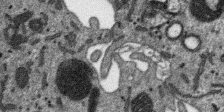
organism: Human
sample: Lung epithelial cells infected with SARS-CoV-2